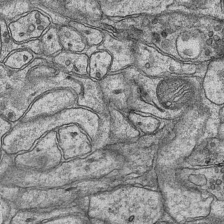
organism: Mouse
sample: CA1 Hippocampus